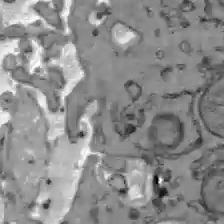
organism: C57BL Mouse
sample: Liver